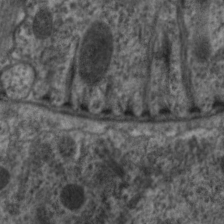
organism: C. elegans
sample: Pharynx